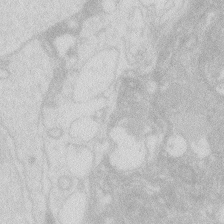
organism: Zebrafish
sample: Macrophage